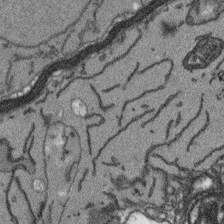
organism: Arabidopsis thaliana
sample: Root tip